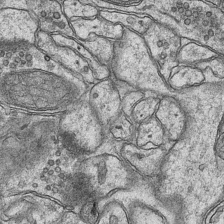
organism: Mouse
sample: CA1 Hippocampus